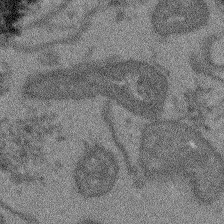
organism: Arabidopsis thaliana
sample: Root tip